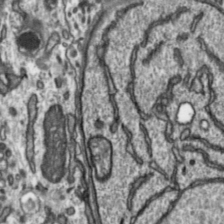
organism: Toxoplasma gondii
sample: Parasites in a vacuole inside a host cell